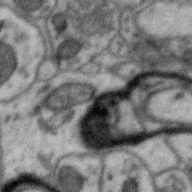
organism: Zebra finch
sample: Brain